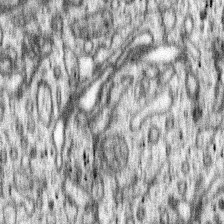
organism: Human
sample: HeLa cells